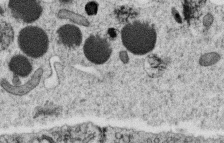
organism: C. elegans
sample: C. elegans oocyte; sperm cells